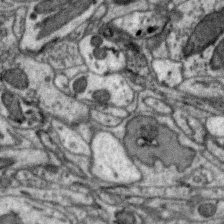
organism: Zebra finch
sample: Brain